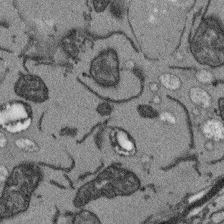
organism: Arabidopsis thaliana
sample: Root tip